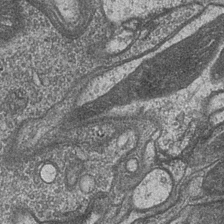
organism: Drosophila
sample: Optic medulla